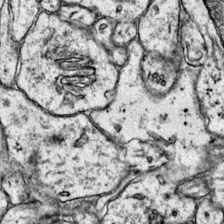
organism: Mouse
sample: Primary visual cortex